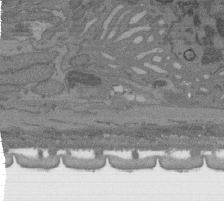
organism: C. elegans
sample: AFD neurons C. elegans